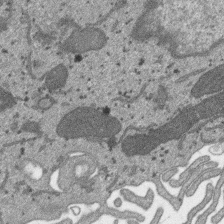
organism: Human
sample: Lung epithelial cells infected with SARS-CoV-2